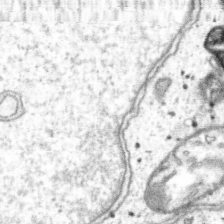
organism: Human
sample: HeLa cells